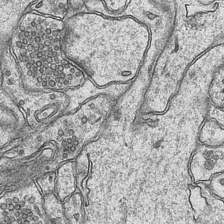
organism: Mouse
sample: CA1 Hippocampus